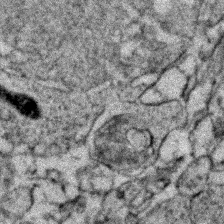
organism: Zebrafish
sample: Zebrafish embryo